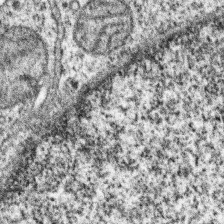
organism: Human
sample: HeLa cells